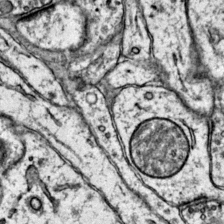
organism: Mouse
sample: Primary visual cortex